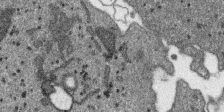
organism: Human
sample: Lung epithelial cells infected with SARS-CoV-2